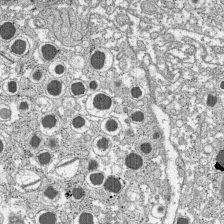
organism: C57BL Mouse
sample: Pancreatic islet